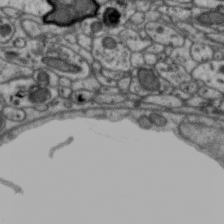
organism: Zebra finch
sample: Brain